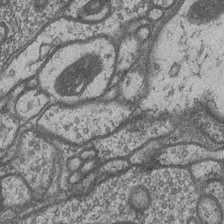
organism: Drosophila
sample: Optic medulla